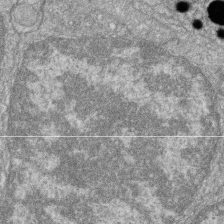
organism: Zebrafish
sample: Cilia; retinal pigment epithelium